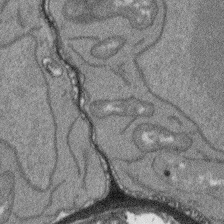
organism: Arabidopsis thaliana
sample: Root tip